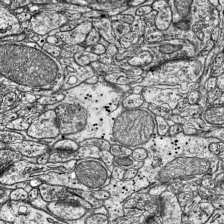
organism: Mouse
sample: Visual Cortex